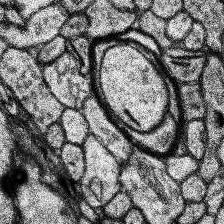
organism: Human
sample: Temporal Lobe